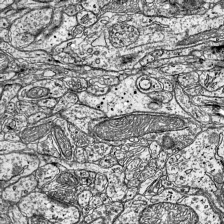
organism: Mouse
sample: Visual Cortex